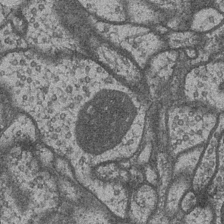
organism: Drosophila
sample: Optic medulla